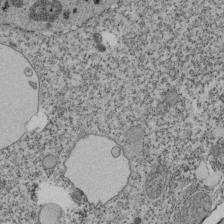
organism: Tetrahymena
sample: Cilia in tetrahymena